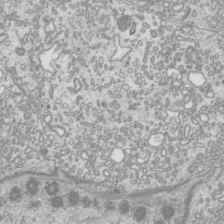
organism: Mouse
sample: Cilia; mouse epididymis